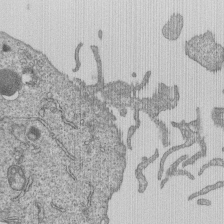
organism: Human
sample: MDA-MB-231 cells